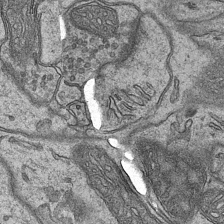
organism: Mouse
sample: CA1 Hippocampus